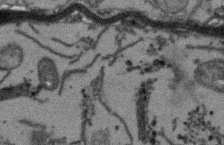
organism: Arabidopsis thaliana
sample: Root tip